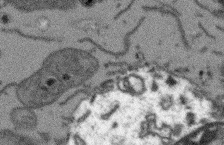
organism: Arabidopsis thaliana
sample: Root tip